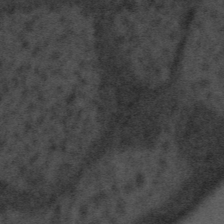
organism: Tuwongella immobilis